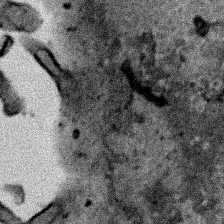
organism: Human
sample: Mitochondria in HCT116 cells